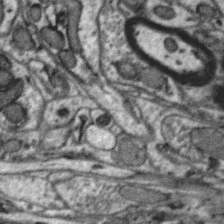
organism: Zebra finch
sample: Brain